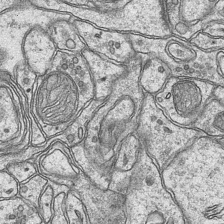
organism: Mouse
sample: CA1 Hippocampus